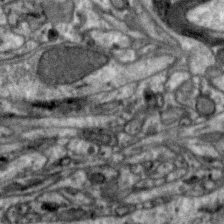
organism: Zebra finch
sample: Brain